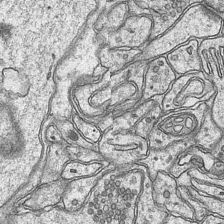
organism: Mouse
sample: CA1 Hippocampus